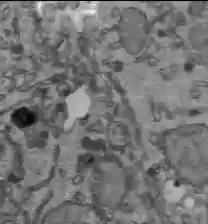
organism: C57BL Mouse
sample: Liver